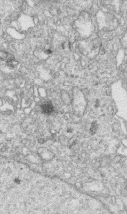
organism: Human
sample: HeLa cell HIV synapse